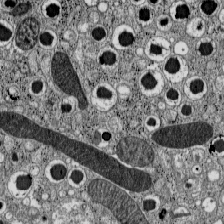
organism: C57BL Mouse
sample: Pancreatic islet